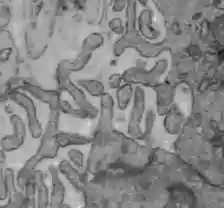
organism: C57BL Mouse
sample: Liver